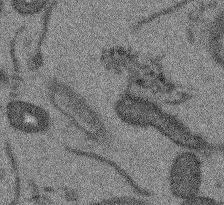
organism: Arabidopsis thaliana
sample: Root tip